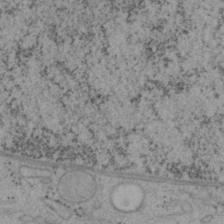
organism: Human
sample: HeLa cells